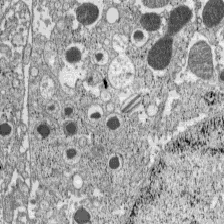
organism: C57BL Mouse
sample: Pancreatic islet